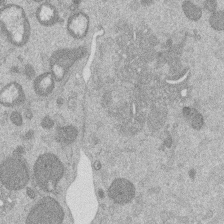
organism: Mouse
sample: Dividing mouse embryo 1 cell stage